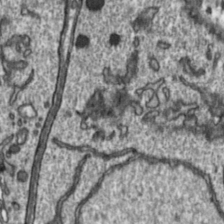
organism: Toxoplasma gondii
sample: Parasites in a vacuole inside a host cell